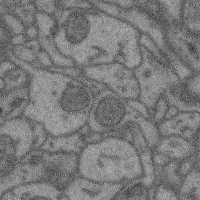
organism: Mouse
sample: Cerebral cortex